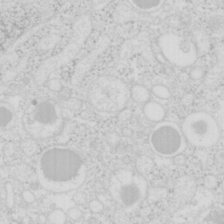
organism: Mouse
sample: Pancreas